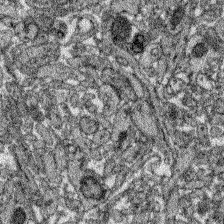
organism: Zebrafish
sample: Larval olfactory bulb